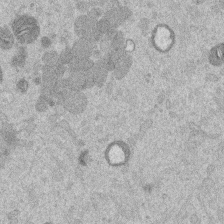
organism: Mouse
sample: Dividing mouse embryo 1 cell stage